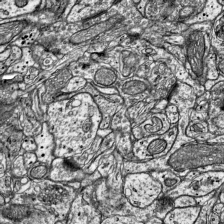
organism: Mouse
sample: Visual Cortex